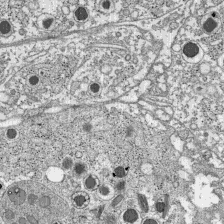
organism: C57BL Mouse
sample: Pancreatic islet